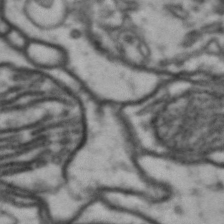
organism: Drosophila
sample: Brain